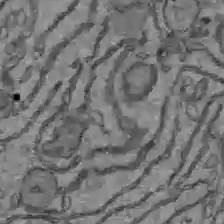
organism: C57BL Mouse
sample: Liver